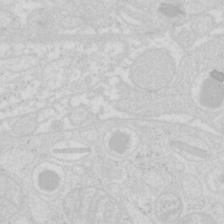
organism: Mouse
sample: Pancreas